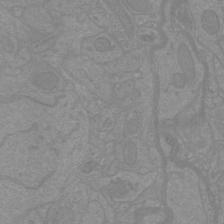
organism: Mouse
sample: Cortical neurons